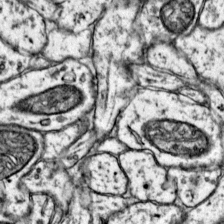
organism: Mouse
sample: Primary visual cortex